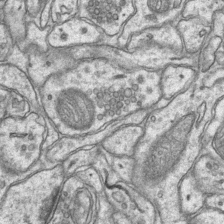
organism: Mouse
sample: CA1 Hippocampus